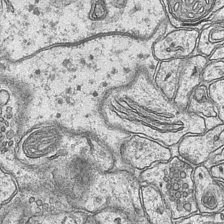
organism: Mouse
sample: CA1 Hippocampus